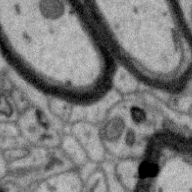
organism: Zebra finch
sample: Brain